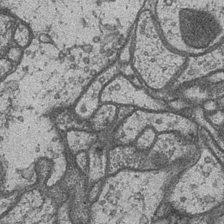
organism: Drosophila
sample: Optic medulla